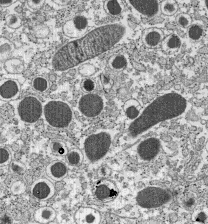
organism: C57BL Mouse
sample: Pancreatic islet